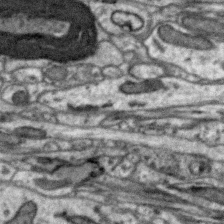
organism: Zebra finch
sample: Brain